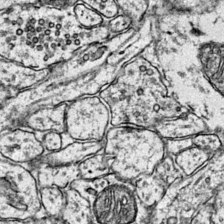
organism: Mouse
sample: Primary visual cortex